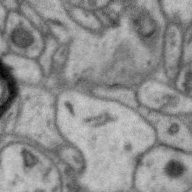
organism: Zebra finch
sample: Brain